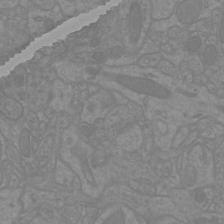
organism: Mouse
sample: Cortical neurons